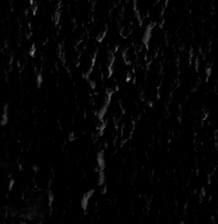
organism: Toxoplasma gondii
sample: Parasites in a vacuole inside a host cell